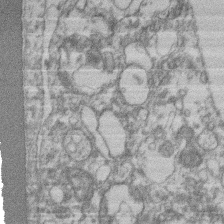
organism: Mouse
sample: T cell stromal cell synapse